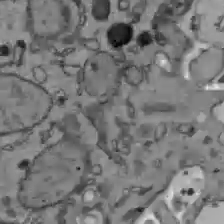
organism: C57BL Mouse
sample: Liver